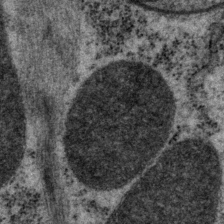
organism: P. pacificus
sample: Pharynx